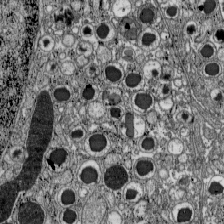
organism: C57BL Mouse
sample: Pancreatic islet